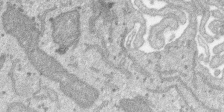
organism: Human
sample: Lung epithelial cells infected with SARS-CoV-2